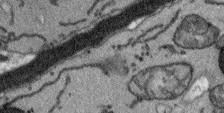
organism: Arabidopsis thaliana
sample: Root tip